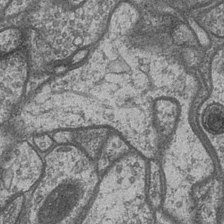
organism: Drosophila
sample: Optic medulla